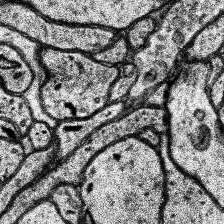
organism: Human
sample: Temporal Lobe